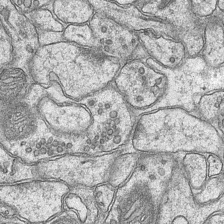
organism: Mouse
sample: CA1 Hippocampus